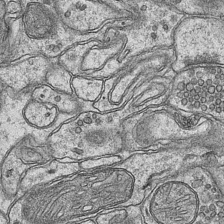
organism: Mouse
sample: CA1 Hippocampus